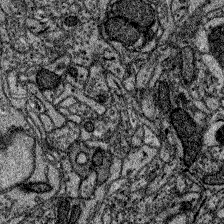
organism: Zebrafish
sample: Larval olfactory bulb